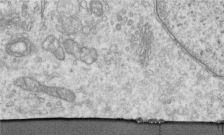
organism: Human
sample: Centriole in RPE cells